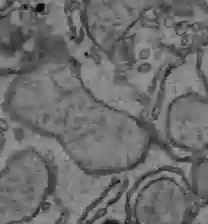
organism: C57BL Mouse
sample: Liver